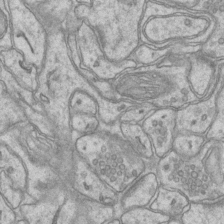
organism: Mouse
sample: CA1 Hippocampus